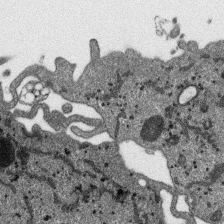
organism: Human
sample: Lung epithelial cells infected with SARS-CoV-2